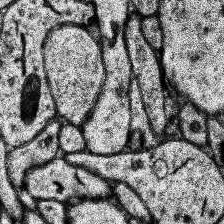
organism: Human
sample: Temporal Lobe